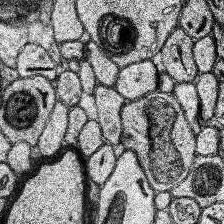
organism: Human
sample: Temporal Lobe